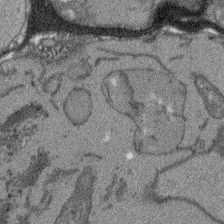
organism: Arabidopsis thaliana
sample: Root tip